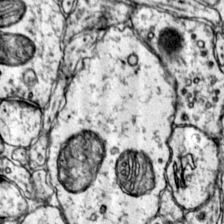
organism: Mouse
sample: Primary visual cortex